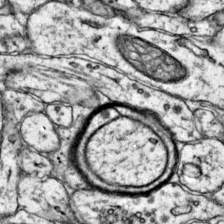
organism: Mouse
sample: Primary visual cortex